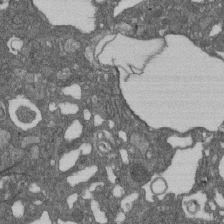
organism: Drosophila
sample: Nephrocyte